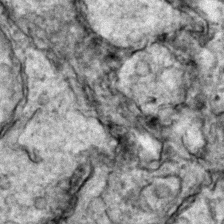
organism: Zebrafish